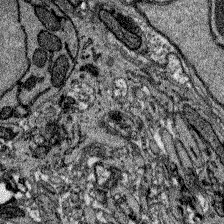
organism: Zebrafish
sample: Larval olfactory bulb